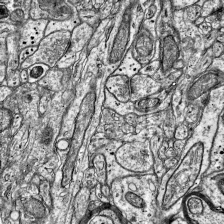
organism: Mouse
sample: Visual Cortex